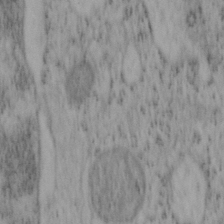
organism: Mouse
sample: OT-I killer T cells with ID8 ovarian cancer cells